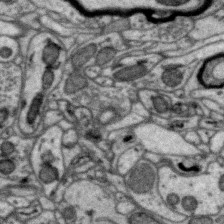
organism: Zebra finch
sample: Brain